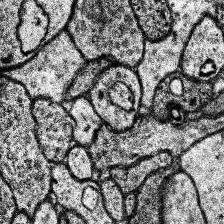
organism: Human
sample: Temporal Lobe